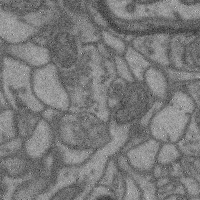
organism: Mouse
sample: Cerebral cortex